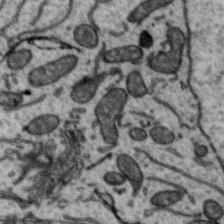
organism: Zebra finch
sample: Brain